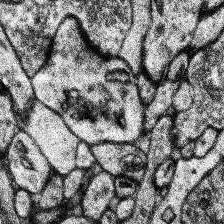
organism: Human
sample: Temporal Lobe